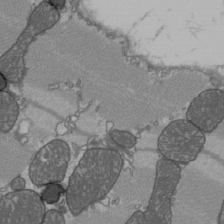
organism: C57BL Mouse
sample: Heart